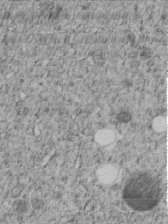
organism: C. elegans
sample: C. elegans embryo early stage